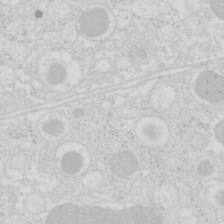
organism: Mouse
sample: Pancreas